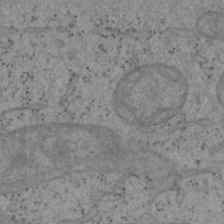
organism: Human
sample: HeLa cells